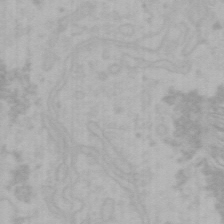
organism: Mouse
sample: Choroid plexus